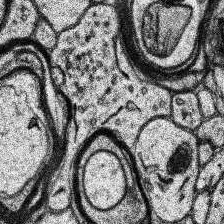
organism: Human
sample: Temporal Lobe